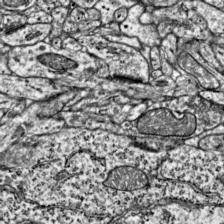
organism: Mouse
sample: Visual Cortex